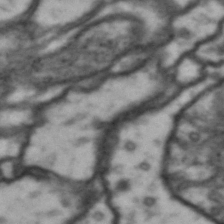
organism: Drosophila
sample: Brain